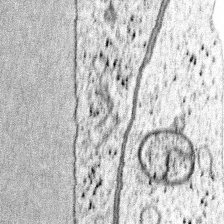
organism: Human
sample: HeLa cells